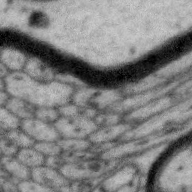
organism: Zebra finch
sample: Brain